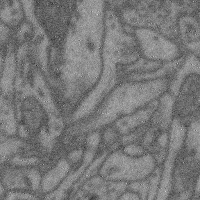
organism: Mouse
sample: Cerebral cortex